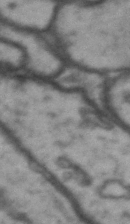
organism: Drosophila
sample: Brain